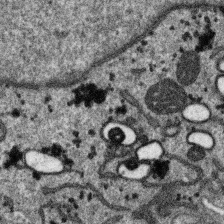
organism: Human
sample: Lung epithelial cells infected with SARS-CoV-2